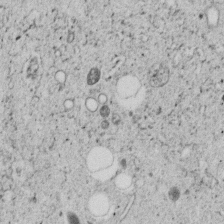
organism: C. elegans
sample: C. elegans embryo early stage